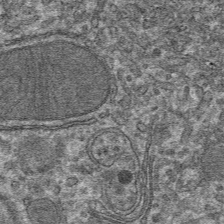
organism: Mouse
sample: Mouse hepatocytes